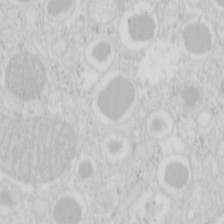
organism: Mouse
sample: Pancreas